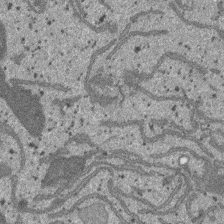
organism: Human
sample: Lung epithelial cells infected with SARS-CoV-2